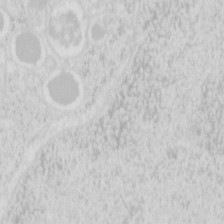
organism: Mouse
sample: Pancreas